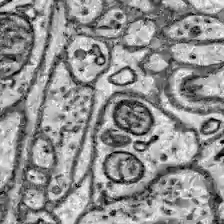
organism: Zebrafish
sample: Brain